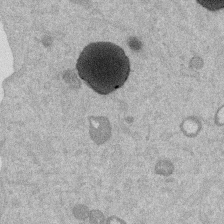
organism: Mouse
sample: Dividing mouse embryo 1 cell stage